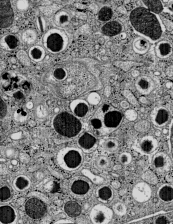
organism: C57BL Mouse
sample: Pancreatic islet